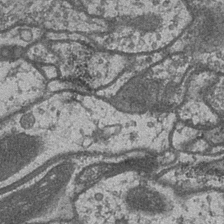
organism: Drosophila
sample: Optic medulla